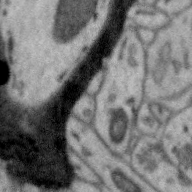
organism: Zebra finch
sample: Brain